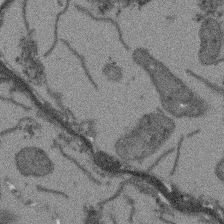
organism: Arabidopsis thaliana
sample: Root tip